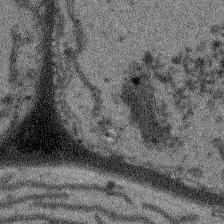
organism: Arabidopsis thaliana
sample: Root tip